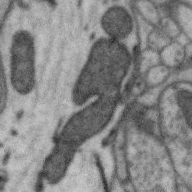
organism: Zebra finch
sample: Brain